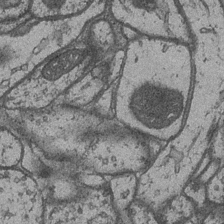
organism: Drosophila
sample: Optic medulla